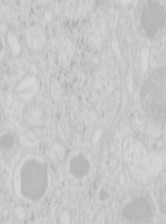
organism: Mouse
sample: Pancreas